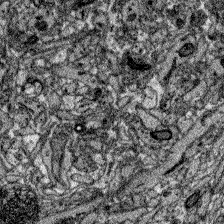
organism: Zebrafish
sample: Larval olfactory bulb